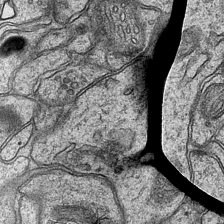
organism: Mouse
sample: CA1 Hippocampus